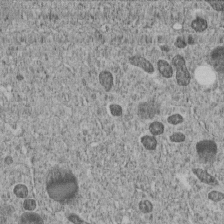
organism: C. elegans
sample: C. elegans embryo early stage